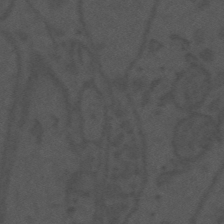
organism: Mouse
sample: Suprachiasmatic nucleus